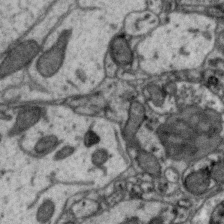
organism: Zebra finch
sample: Brain